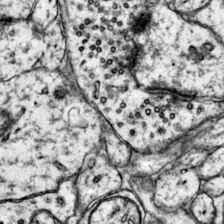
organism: Mouse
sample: Primary visual cortex